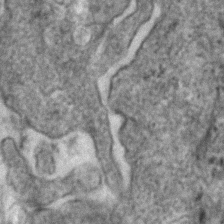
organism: Human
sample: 1205lu cells